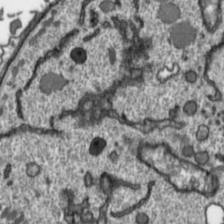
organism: Toxoplasma gondii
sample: Parasites in a vacuole inside a host cell